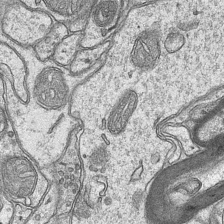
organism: Mouse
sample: CA1 Hippocampus